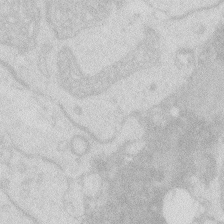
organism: Zebrafish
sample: Macrophage